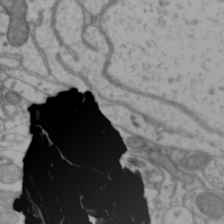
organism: Zebra finch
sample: Brain